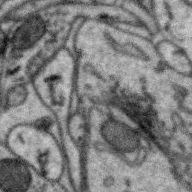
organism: Zebra finch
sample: Brain